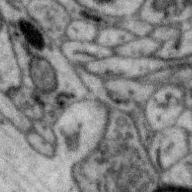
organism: Zebra finch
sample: Brain